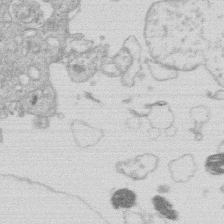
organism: Human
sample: Macrophage cells